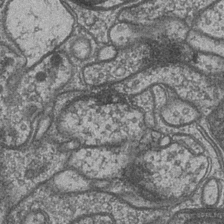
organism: Drosophila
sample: Optic medulla